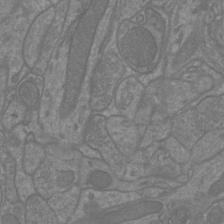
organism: Mouse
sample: Cortical neurons